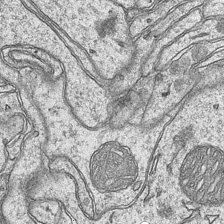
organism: Mouse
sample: CA1 Hippocampus